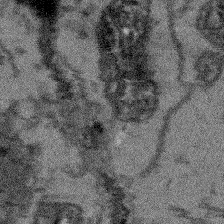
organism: Arabidopsis thaliana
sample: Root tip